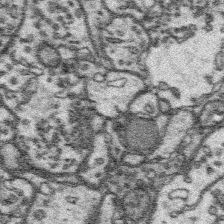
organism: Platynereis dumerilii